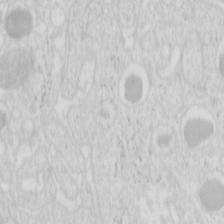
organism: Mouse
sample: Pancreas